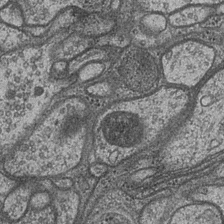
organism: Drosophila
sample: Optic medulla